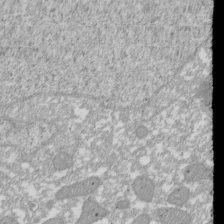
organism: Xenopus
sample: Cilia; centrioles in frog embryo cells